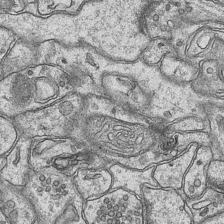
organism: Mouse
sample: CA1 Hippocampus